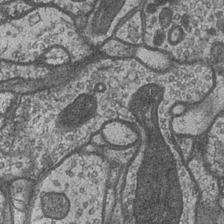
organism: Drosophila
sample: Optic medulla